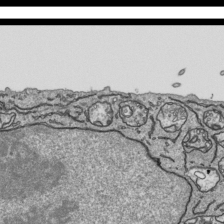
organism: Human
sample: Mitochondria in HCT116 cells